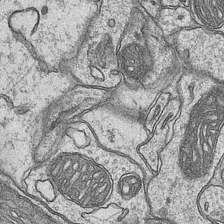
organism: Mouse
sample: CA1 Hippocampus